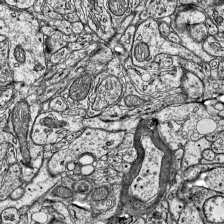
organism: Mouse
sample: Visual Cortex